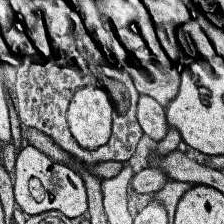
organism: Human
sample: Temporal Lobe